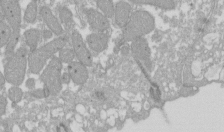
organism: Xenopus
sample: Cilia; centrioles in frog embryo cells